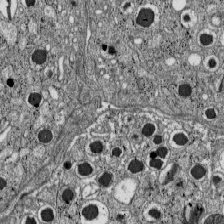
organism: C57BL Mouse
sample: Pancreatic islet